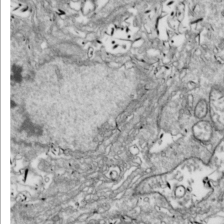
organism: Drosophila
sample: Cell division; meiosis; drosophila spermatocytes